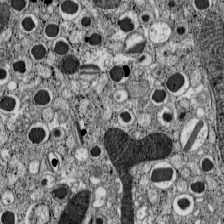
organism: C57BL Mouse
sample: Pancreatic islet